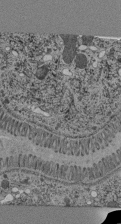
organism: C. elegans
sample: C. elegans pharynx